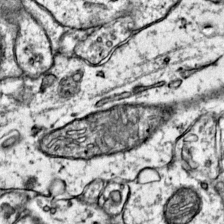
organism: Mouse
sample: Primary visual cortex